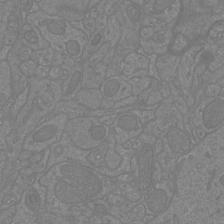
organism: Mouse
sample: Cortical neurons